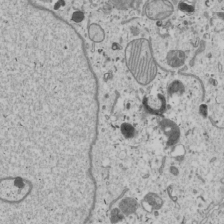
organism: Human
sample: Mitochondria in U2OS cells